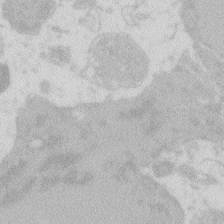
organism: Zebrafish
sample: Macrophage